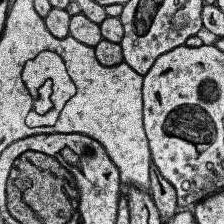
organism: Human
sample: Temporal Lobe